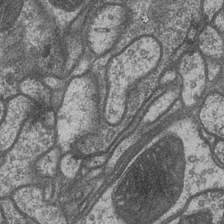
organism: Drosophila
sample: Optic medulla